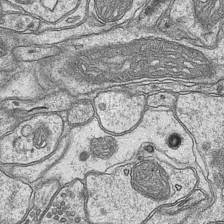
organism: Mouse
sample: CA1 Hippocampus